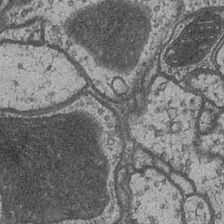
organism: Drosophila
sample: Optic medulla